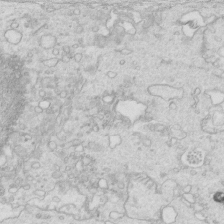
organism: Mouse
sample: Multiciliated cells